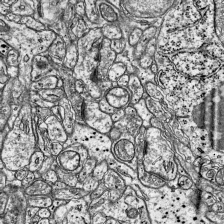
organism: Mouse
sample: Visual Cortex